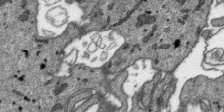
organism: Human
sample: Lung epithelial cells, uninfected (mock) control